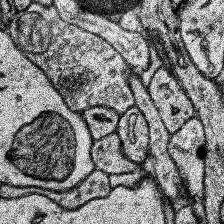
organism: Human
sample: Temporal Lobe